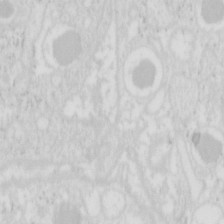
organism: Mouse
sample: Pancreas